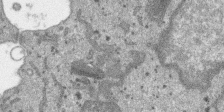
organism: Human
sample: Lung epithelial cells infected with SARS-CoV-2